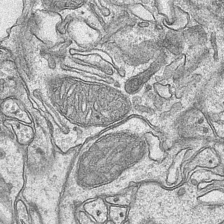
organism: Mouse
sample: CA1 Hippocampus